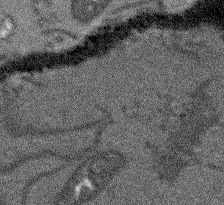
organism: Arabidopsis thaliana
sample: Root tip